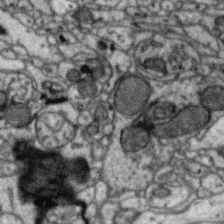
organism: Zebra finch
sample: Brain